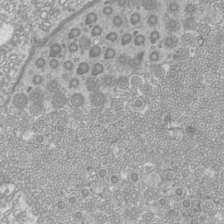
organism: Mouse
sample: Cilia; mouse epididymis